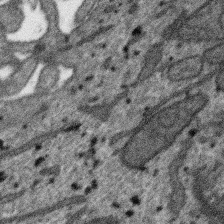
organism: Human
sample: Lung epithelial cells infected with SARS-CoV-2